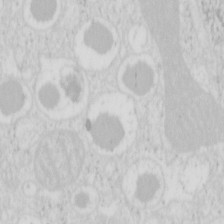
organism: Mouse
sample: Pancreas